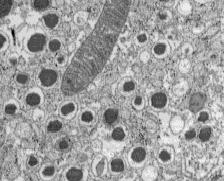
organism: C57BL Mouse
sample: Pancreatic islet